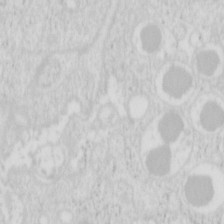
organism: Mouse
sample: Pancreas